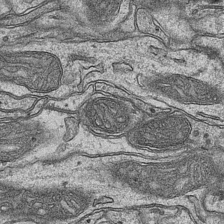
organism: Mouse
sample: CA1 Hippocampus